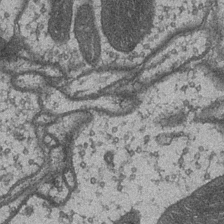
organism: Drosophila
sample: Optic medulla